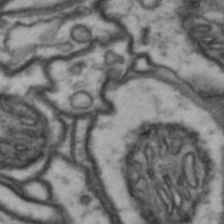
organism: Drosophila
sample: Brain